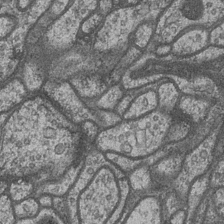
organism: Drosophila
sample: Optic medulla